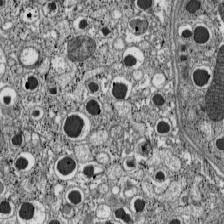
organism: C57BL Mouse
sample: Pancreatic islet